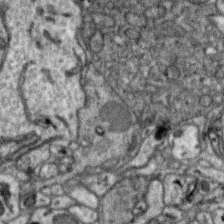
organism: Zebra finch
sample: Brain